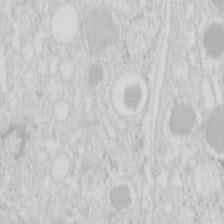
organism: Mouse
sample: Pancreas